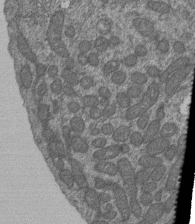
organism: Human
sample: Retinal organoid Rod and Cone cells